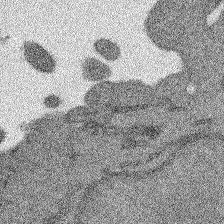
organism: Human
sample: HeLa cells